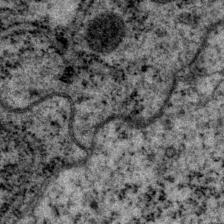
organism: P. pacificus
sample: Pharynx